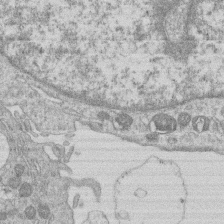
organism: Human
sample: Macrophage cells